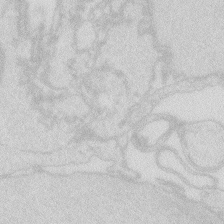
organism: Zebrafish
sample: Macrophage